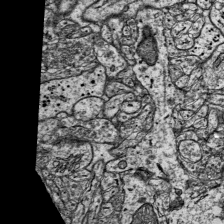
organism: Mouse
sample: Visual Cortex